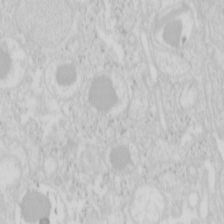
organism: Mouse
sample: Pancreas